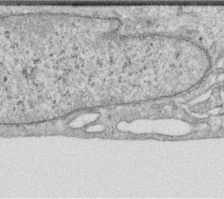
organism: Human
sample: Centriole in RPE cells